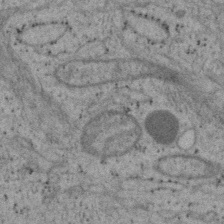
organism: Human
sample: HeLa cells